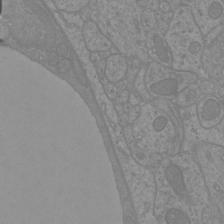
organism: Mouse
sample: Cortical neurons